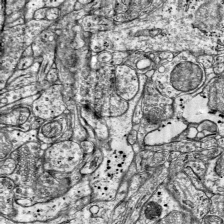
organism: Mouse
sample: Visual Cortex